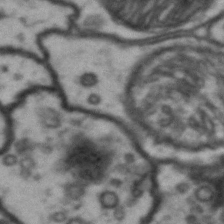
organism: Drosophila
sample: Brain